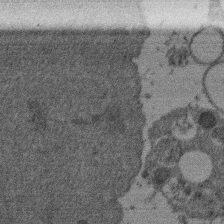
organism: Mouse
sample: Dividing mouse embryo 1 cell stage